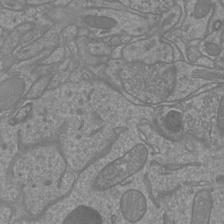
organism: Mouse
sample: Cortical neurons